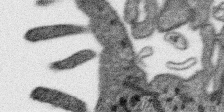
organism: Human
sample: Lung epithelial cells infected with SARS-CoV-2